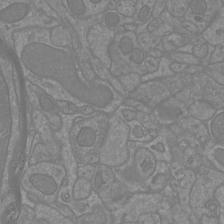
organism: Mouse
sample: Cortical neurons